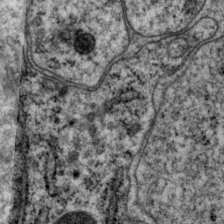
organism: P. pacificus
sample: Pharynx